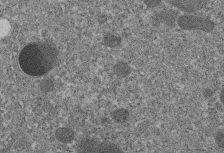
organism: C. elegans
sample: C. elegans embryo early stage